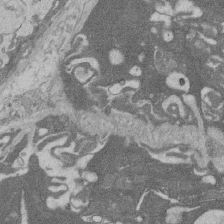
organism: Rat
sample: Salivary granule